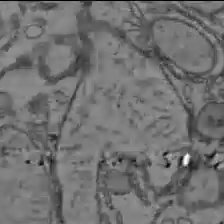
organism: C57BL Mouse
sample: Liver